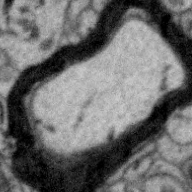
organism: Zebra finch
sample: Brain